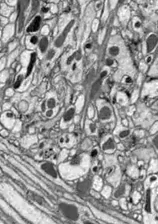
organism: Drosophila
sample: Optic lobe